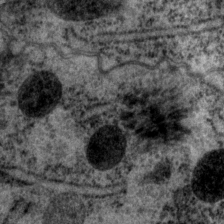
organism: P. pacificus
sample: Pharynx